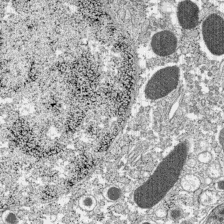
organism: C57BL Mouse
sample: Pancreatic islet